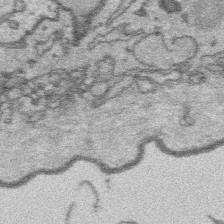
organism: Platynereis dumerilii